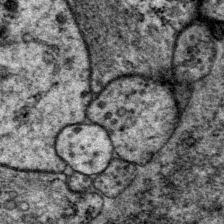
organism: P. pacificus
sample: Pharynx